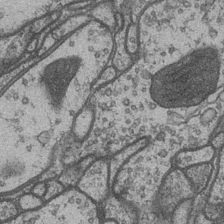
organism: Drosophila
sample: Optic medulla